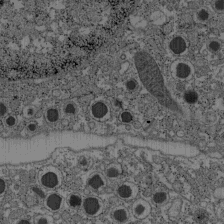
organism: C57BL Mouse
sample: Pancreatic islet